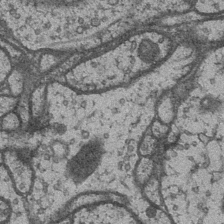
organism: Drosophila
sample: Optic medulla